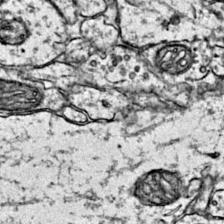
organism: Mouse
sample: Primary visual cortex